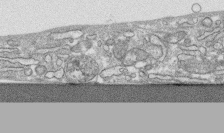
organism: Human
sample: CRL-1474